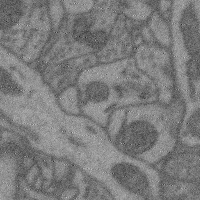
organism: Mouse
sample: Cerebral cortex